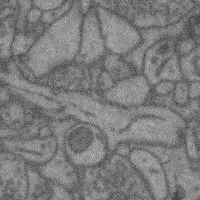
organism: Mouse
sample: Cerebral cortex